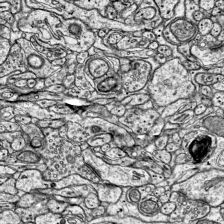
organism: Mouse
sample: Visual Cortex